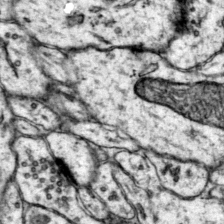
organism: Mouse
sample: Primary visual cortex